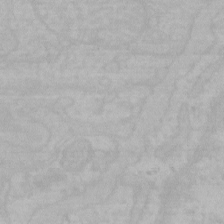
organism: Mouse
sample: Choroid plexus